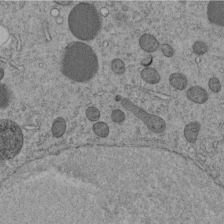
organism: C. elegans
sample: C. elegans embryo early stage